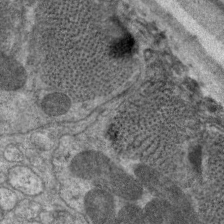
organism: C. elegans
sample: Pharynx